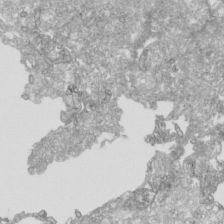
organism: Human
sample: Mitochondria in HCT116 cells